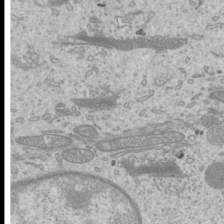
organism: Mouse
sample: Cilia; mouse epididymis